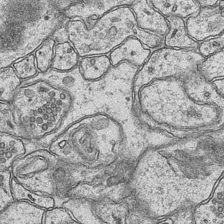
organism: Mouse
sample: CA1 Hippocampus